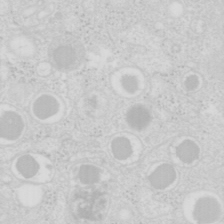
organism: Mouse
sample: Pancreas